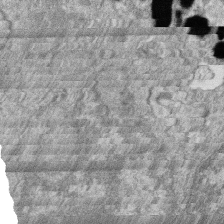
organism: Zebrafish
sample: Cilia; retinal pigment epithelium